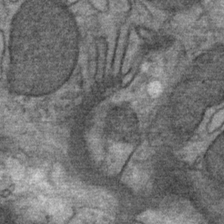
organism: Mouse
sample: Mouse Salivary gland